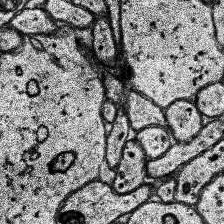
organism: Human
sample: Temporal Lobe